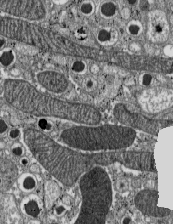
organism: C57BL Mouse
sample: Pancreatic islet